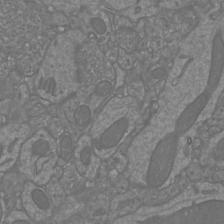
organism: Mouse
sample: Cortical neurons